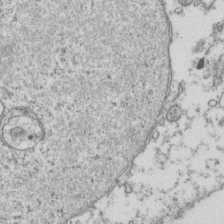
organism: Human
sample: Activated Jurkat CD4+ T cells